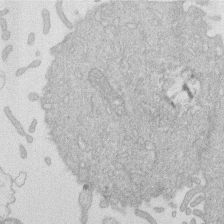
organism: Human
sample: Macrophage cells